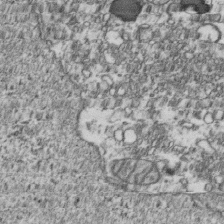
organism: Human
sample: Activated Jurkat CD4+ T cells